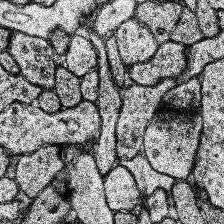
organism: Human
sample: Temporal Lobe